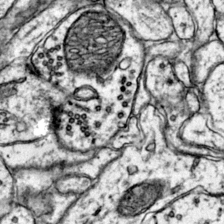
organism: Mouse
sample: Primary visual cortex